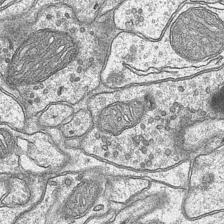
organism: Mouse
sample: CA1 Hippocampus